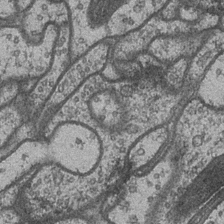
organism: Drosophila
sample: Optic medulla